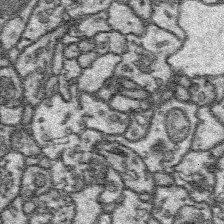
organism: Platynereis dumerilii